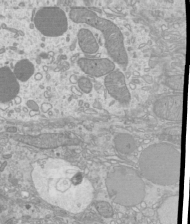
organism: Mouse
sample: Cilia; mouse epididymis